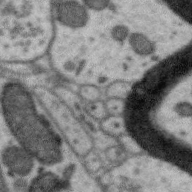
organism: Zebra finch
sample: Brain